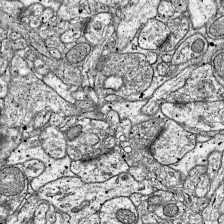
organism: Mouse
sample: Visual Cortex